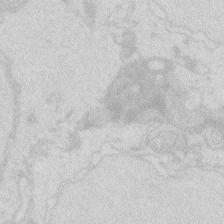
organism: Zebrafish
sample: Macrophage